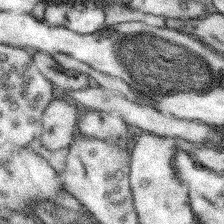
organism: Mouse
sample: Somatosensory cortex neuropil